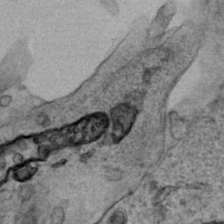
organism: Human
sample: Mitochondria in HCT116 cells